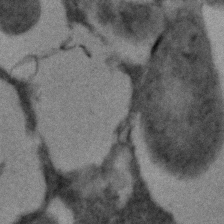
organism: C. elegans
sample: C. elegans embryo